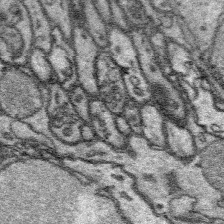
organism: Platynereis dumerilii